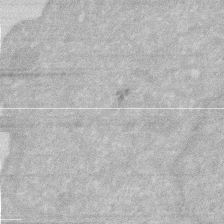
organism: Human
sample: HIV infected U937 cells